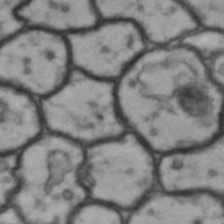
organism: Drosophila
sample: Brain